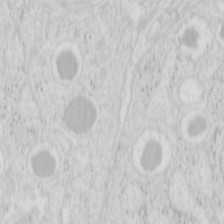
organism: Mouse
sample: Pancreas